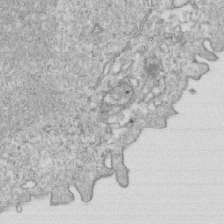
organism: Mouse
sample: Activated OT-1 CD8+ T cells